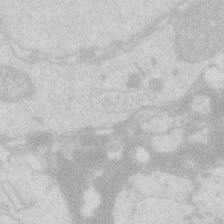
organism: Zebrafish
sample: Macrophage